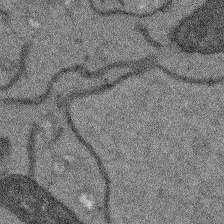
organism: Arabidopsis thaliana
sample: Root tip